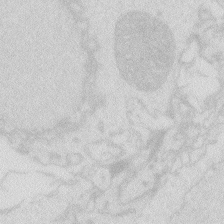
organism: Zebrafish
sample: Macrophage